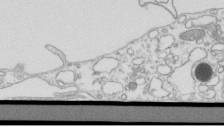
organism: Mouse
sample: Macrophages